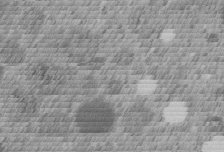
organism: C. elegans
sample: C. elegans embryo early stage